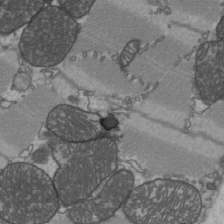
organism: C57BL Mouse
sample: Heart